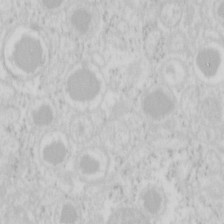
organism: Mouse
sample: Pancreas